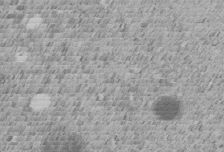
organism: C. elegans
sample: C. elegans embryo early stage